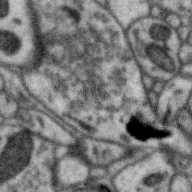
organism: Zebra finch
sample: Brain